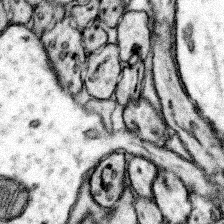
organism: Mouse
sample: Somatosensory cortex neuropil